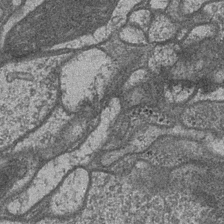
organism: Drosophila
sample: Optic medulla